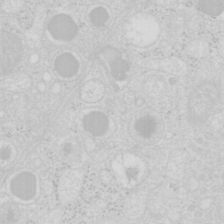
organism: Mouse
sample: Pancreas